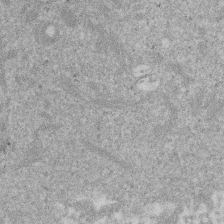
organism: Mouse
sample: Dividing mouse embryo 1 cell stage